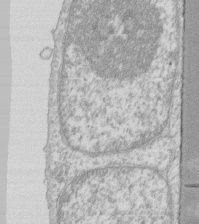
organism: Human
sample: Fibroblast cells